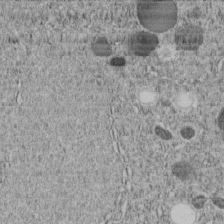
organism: C. elegans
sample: C. elegans embryo early stage